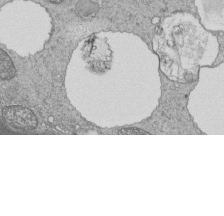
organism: Tetrahymena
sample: Cilia in tetrahymena